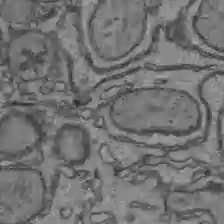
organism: C57BL Mouse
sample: Liver